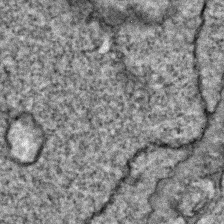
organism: Zebrafish